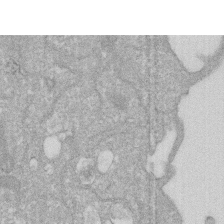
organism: Human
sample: HIV infected U937 cells